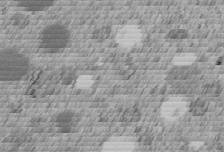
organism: C. elegans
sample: C. elegans embryo early stage